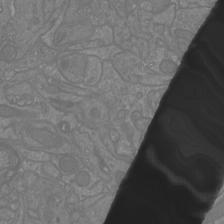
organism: Mouse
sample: Cortical neurons